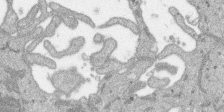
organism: Human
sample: Lung epithelial cells infected with SARS-CoV-2